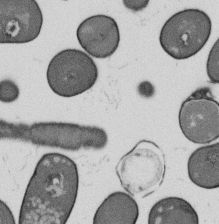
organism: B. subtilis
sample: Bacterial spore